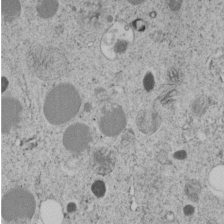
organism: C. elegans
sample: C. elegans embryo early stage